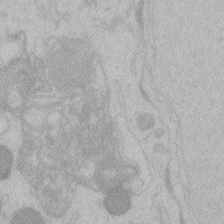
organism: Zebrafish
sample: Macrophage infected with Toxoplasma gondii